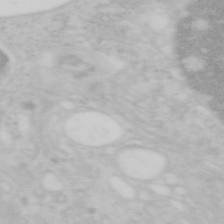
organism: Mouse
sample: OT-I killer T cells with ID8 ovarian cancer cells